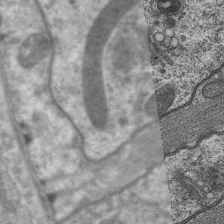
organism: C. elegans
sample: Pharynx